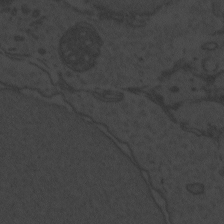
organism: Zebrafish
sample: Macrophage infected with Toxoplasma gondii